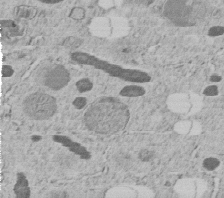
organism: C. elegans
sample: C. elegans embryo early stage